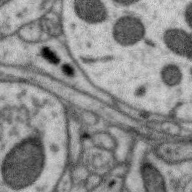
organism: Zebra finch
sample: Brain